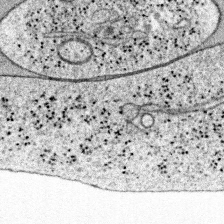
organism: Human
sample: HeLa cells